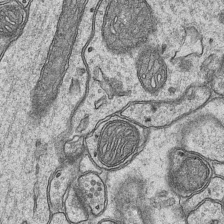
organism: Mouse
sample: CA1 Hippocampus